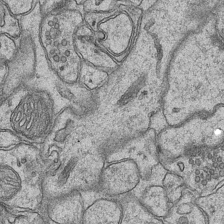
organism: Mouse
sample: CA1 Hippocampus